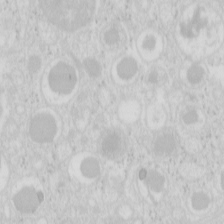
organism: Mouse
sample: Pancreas